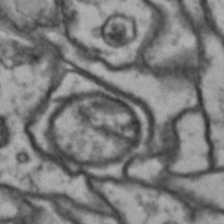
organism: Drosophila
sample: Brain